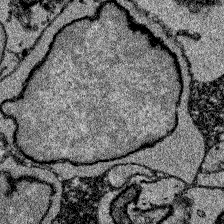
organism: Zebrafish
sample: Larval olfactory bulb